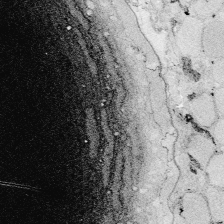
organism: Zebrafish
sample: Whole-Brain